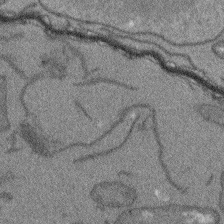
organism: Arabidopsis thaliana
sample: Root tip